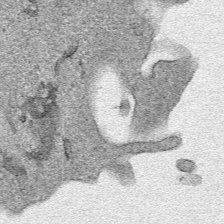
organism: Human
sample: Mitochondria in HCT116 cells